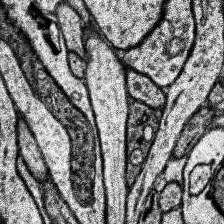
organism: Human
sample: Temporal Lobe